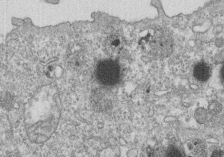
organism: Human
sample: HeLa cell HIV synapse